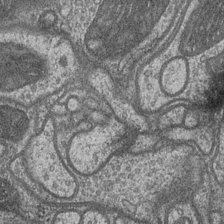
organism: Drosophila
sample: Optic medulla